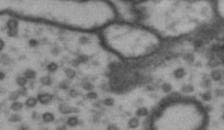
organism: Drosophila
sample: Brain